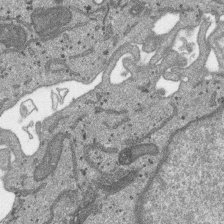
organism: Human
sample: Lung epithelial cells infected with SARS-CoV-2